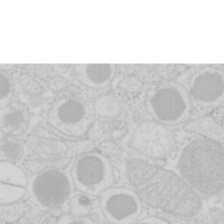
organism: Mouse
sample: Pancreas